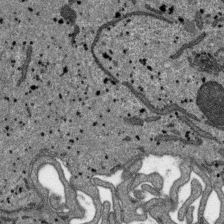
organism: Human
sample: Lung epithelial cells, uninfected (mock) control